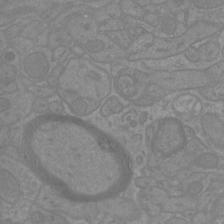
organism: Mouse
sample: Cortical neurons